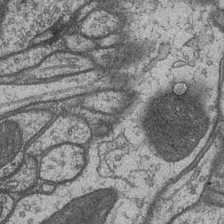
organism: Drosophila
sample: Optic medulla